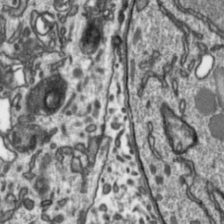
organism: Toxoplasma gondii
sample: Parasites in a vacuole inside a host cell